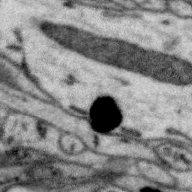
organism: Zebra finch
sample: Brain